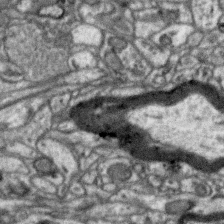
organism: Zebra finch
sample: Brain